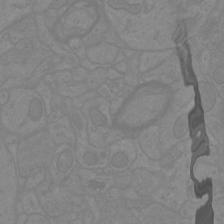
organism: Mouse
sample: Cortical neurons